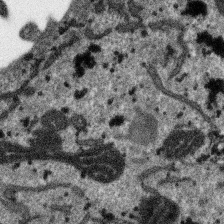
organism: Human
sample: Lung epithelial cells infected with SARS-CoV-2